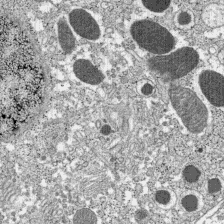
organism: C57BL Mouse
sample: Pancreatic islet